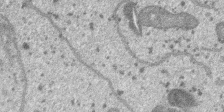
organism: Human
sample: Lung epithelial cells infected with SARS-CoV-2